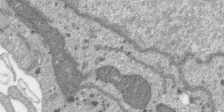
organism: Human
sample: Lung epithelial cells infected with SARS-CoV-2